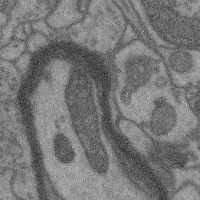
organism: Mouse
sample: Cerebral cortex